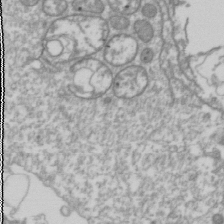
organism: Drosophila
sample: Cell division; meiosis; drosophila spermatocytes